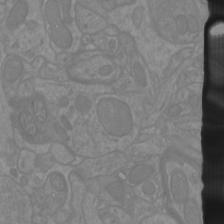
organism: Mouse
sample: Cortical neurons